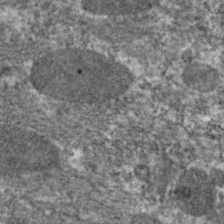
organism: C. elegans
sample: Pharynx